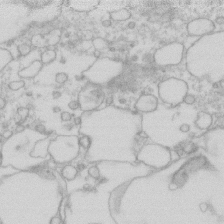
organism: Human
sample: Fibroblast cells